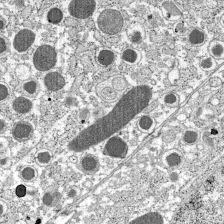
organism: C57BL Mouse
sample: Pancreatic islet